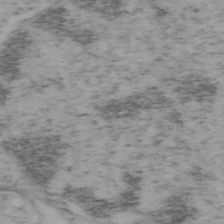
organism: Mouse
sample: OT-I killer T cells with ID8 ovarian cancer cells